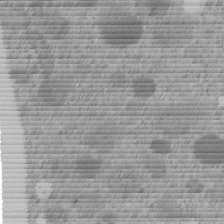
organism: C. elegans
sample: C. elegans embryo early stage